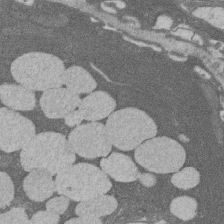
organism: Rat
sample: Salivary granule